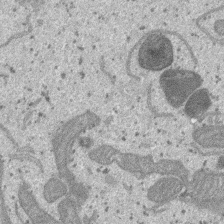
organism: Human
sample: Lung epithelial cells infected with SARS-CoV-2